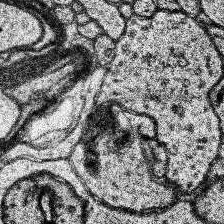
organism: Human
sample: Temporal Lobe